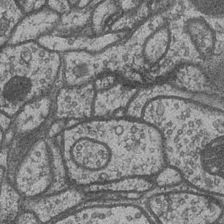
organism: Drosophila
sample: Optic medulla